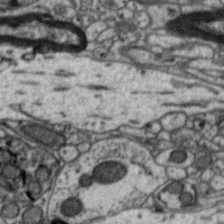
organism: Zebra finch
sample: Brain